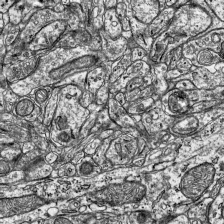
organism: Mouse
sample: Visual Cortex